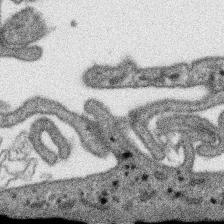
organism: Human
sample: Lung epithelial cells infected with SARS-CoV-2